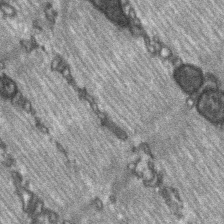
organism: C57BL Mouse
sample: Soleus